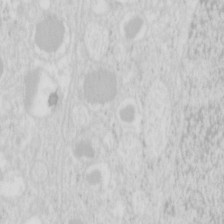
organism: Mouse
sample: Pancreas